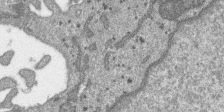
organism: Human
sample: Lung epithelial cells infected with SARS-CoV-2